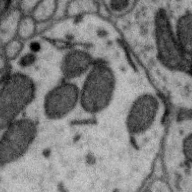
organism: Zebra finch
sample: Brain